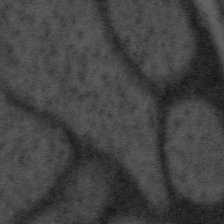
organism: Tuwongella immobilis